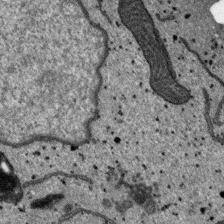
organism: Human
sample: Lung epithelial cells, uninfected (mock) control